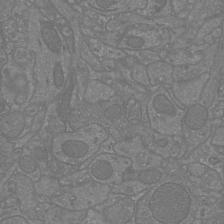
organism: Mouse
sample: Cortical neurons